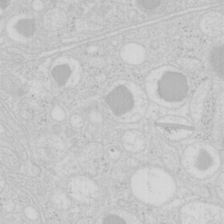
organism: Mouse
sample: Pancreas